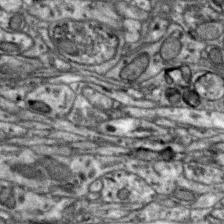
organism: Zebra finch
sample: Brain